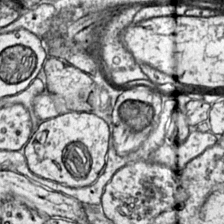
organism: Mouse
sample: Primary visual cortex